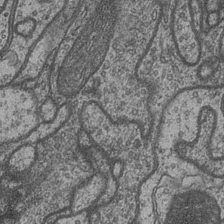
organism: Drosophila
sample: Optic medulla